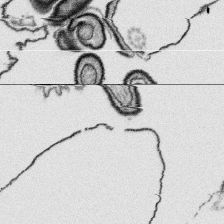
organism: Platynereis dumerilii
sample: Parapodia